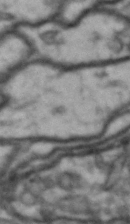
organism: Drosophila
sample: Brain